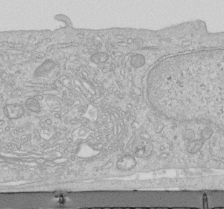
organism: Human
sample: Centriole in RPE cells